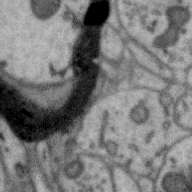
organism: Zebra finch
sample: Brain